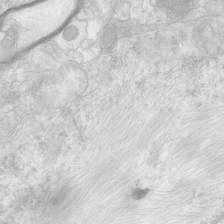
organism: Human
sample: Neocortex